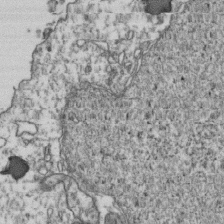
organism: Human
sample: Activated Jurkat CD4+ T cells